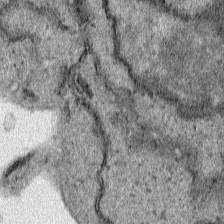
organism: Human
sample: Mitochondria in HCT116 cells